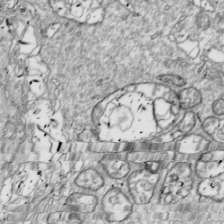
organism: Drosophila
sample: Cell division; meiosis; drosophila spermatocytes